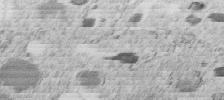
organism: C. elegans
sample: C. elegans embryo early stage